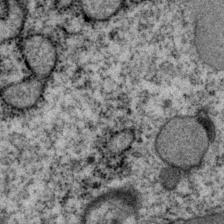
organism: P. pacificus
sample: Pharynx